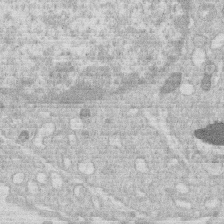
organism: Human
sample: Macrophage cells